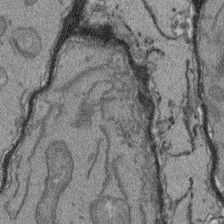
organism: Arabidopsis thaliana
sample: Root tip